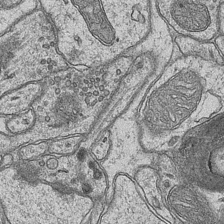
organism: Mouse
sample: CA1 Hippocampus